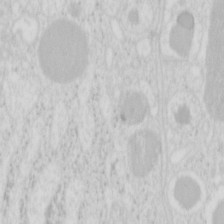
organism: Mouse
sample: Pancreas